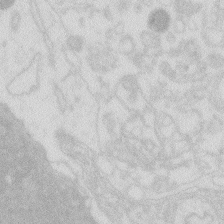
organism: Zebrafish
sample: Macrophage